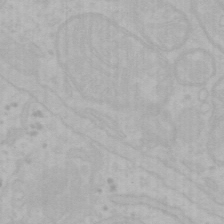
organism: Mouse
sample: Choroid plexus